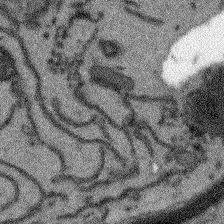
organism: Arabidopsis thaliana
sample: Root tip